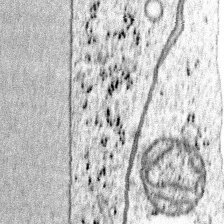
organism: Human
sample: HeLa cells